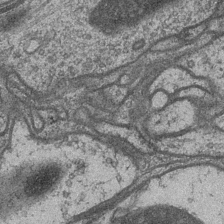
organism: Drosophila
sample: Optic medulla